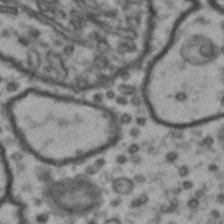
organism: Drosophila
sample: Brain